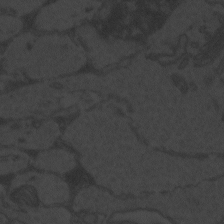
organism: Zebrafish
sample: Macrophage infected with Toxoplasma gondii